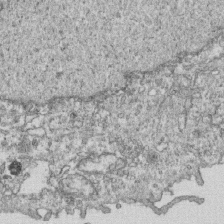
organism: Human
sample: HeLa cell HIV synapse